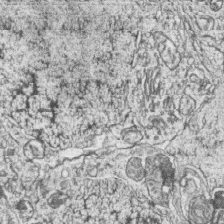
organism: Zebrafish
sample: synaptic ribbons in rod cells and cone cells